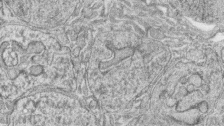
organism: Zebrafish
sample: synaptic ribbons in rod cells and cone cells